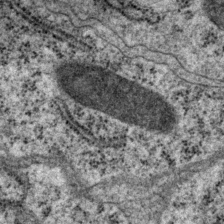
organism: P. pacificus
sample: Pharynx